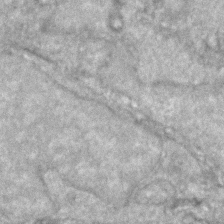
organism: Zebrafish